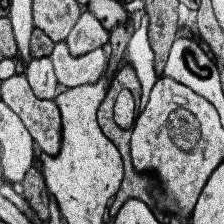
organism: Human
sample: Temporal Lobe